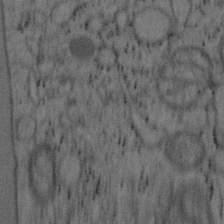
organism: Human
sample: HeLa cells